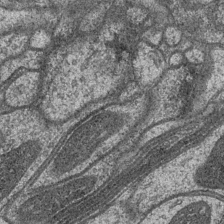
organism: Drosophila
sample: Optic medulla